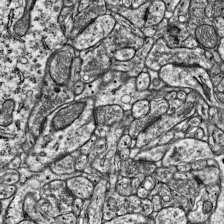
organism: Mouse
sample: Visual Cortex